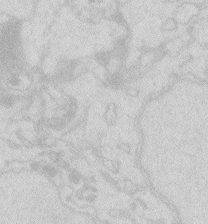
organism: Zebrafish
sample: Macrophage